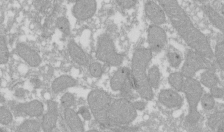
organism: Xenopus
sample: Cilia; centrioles in frog embryo cells